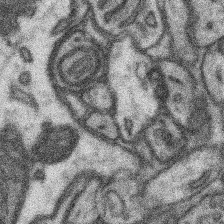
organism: Mouse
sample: Somatosensory cortex neuropil